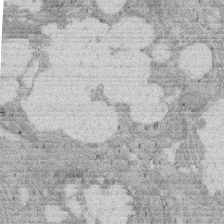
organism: Rat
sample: Salivary granule